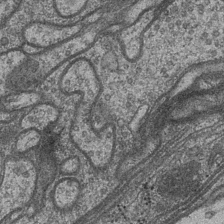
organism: Drosophila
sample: Optic medulla